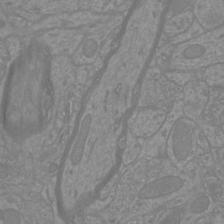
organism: Mouse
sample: Cortical neurons